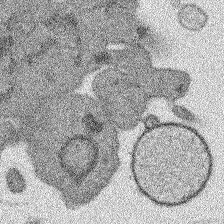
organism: Human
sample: HeLa cells